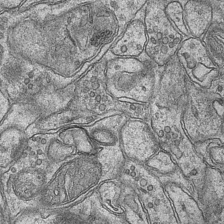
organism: Mouse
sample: CA1 Hippocampus